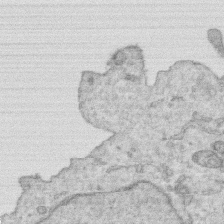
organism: Human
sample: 1205lu cells